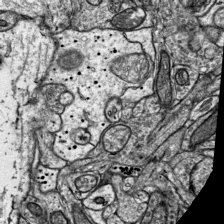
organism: Mouse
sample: Visual Cortex